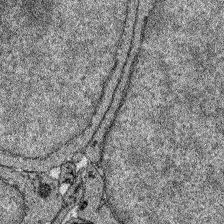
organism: Zebrafish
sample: Larval olfactory bulb